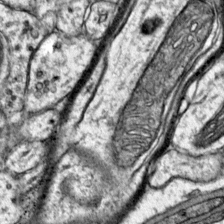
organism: Mouse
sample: Primary visual cortex